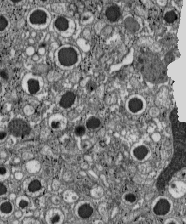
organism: C57BL Mouse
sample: Pancreatic islet